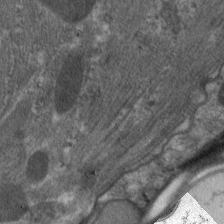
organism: C. elegans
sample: Pharynx